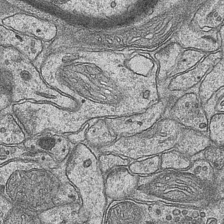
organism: Mouse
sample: CA1 Hippocampus